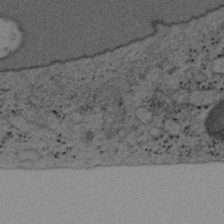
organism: Human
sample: HeLa cells